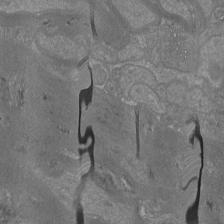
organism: Mouse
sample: Cortical neurons